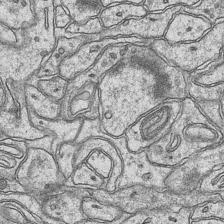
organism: Mouse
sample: CA1 Hippocampus